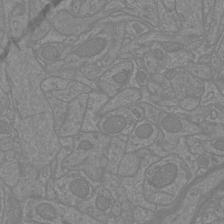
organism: Mouse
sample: Cortical neurons